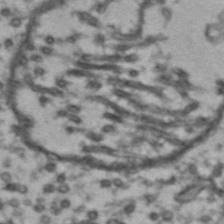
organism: Drosophila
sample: Brain